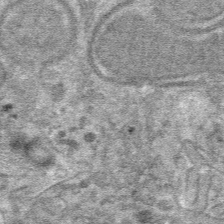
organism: Mouse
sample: Mouse hepatocytes